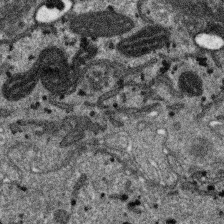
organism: Human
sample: Lung epithelial cells infected with SARS-CoV-2